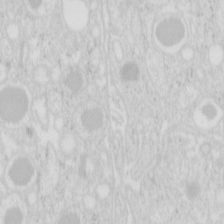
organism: Mouse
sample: Pancreas